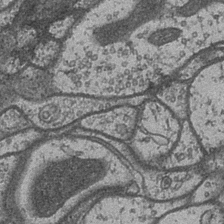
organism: Drosophila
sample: Optic medulla